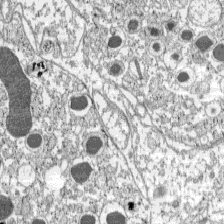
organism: C57BL Mouse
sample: Pancreatic islet